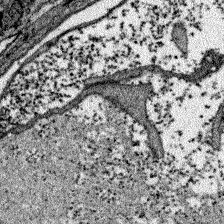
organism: Zebrafish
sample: Larval olfactory bulb